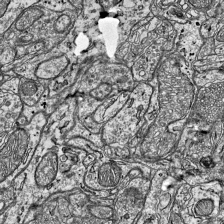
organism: Mouse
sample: Visual Cortex